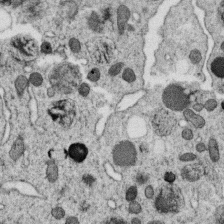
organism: C. elegans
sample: C. elegans oocyte; sperm cells